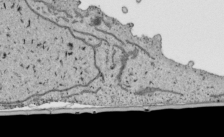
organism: Human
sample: Mitochondria in HCT116 cells